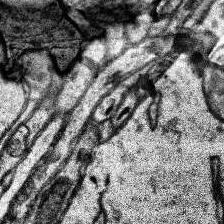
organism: Human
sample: Temporal Lobe